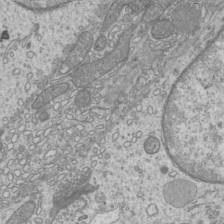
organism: Mouse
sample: Cilia; mouse epididymis